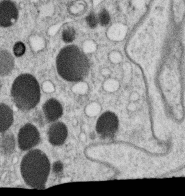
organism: C. elegans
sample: C. elegans oocyte; sperm cells